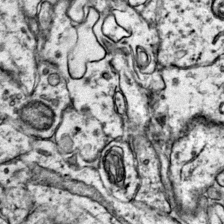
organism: Mouse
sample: Primary visual cortex